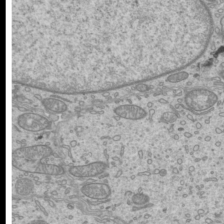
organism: Mouse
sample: Cilia; mouse epididymis